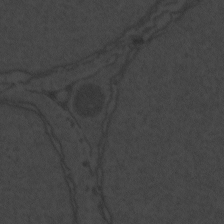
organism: Zebrafish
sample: Macrophage infected with Toxoplasma gondii